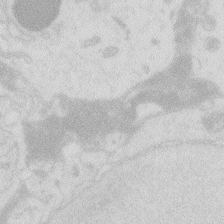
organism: Zebrafish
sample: Macrophage